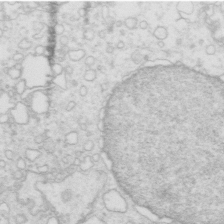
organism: Mouse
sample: Multiciliated cells